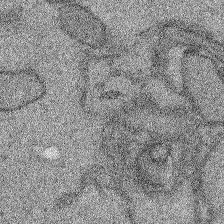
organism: Human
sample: HeLa cells